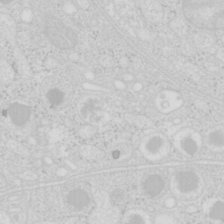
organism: Mouse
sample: Pancreas